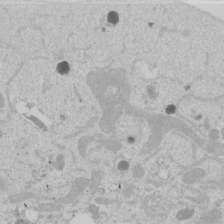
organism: Human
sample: Mitochondria in U2OS cells